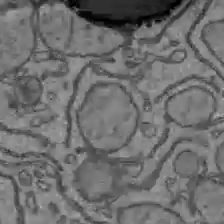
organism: C57BL Mouse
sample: Liver